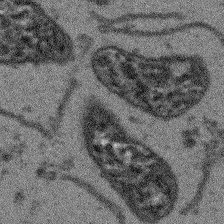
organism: Arabidopsis thaliana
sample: Root tip